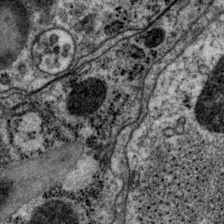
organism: P. pacificus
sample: Pharynx